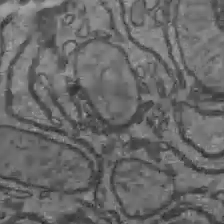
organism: C57BL Mouse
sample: Liver